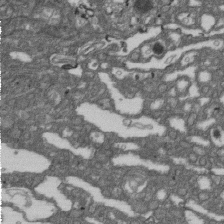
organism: Drosophila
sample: Nephrocyte